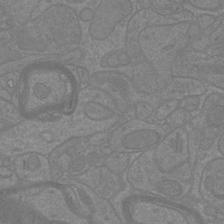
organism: Mouse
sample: Cortical neurons